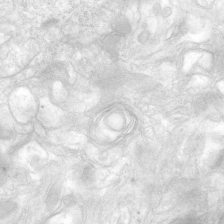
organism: Human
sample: Neocortex